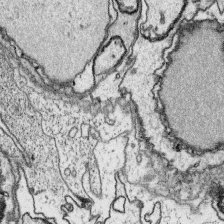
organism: Platynereis dumerilii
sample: Parapodia